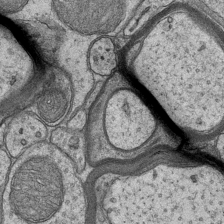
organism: Mouse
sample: CA1 Hippocampus